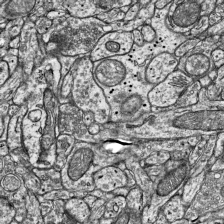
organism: Mouse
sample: Visual Cortex